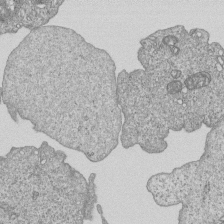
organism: Human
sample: MDA-MB-231 cells